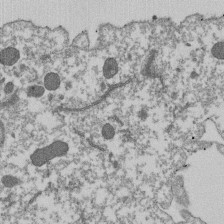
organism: Dictyostelium discoideum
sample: Dictyostelium multivesicular bodies